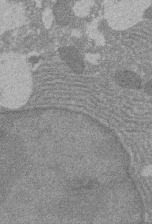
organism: Rat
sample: Salivary granule